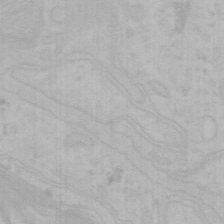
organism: Mouse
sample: Choroid plexus